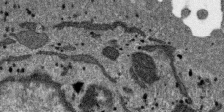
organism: Human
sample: Lung epithelial cells, uninfected (mock) control